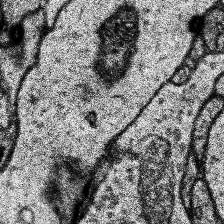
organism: Human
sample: Temporal Lobe